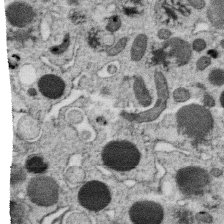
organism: C. elegans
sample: C. elegans oocyte; sperm cells